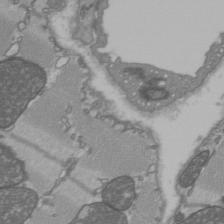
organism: C57BL Mouse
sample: Heart